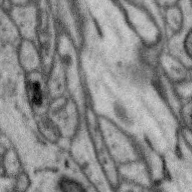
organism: Zebra finch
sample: Brain